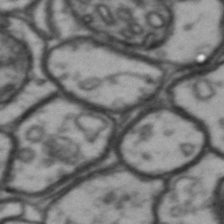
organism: Drosophila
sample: Brain